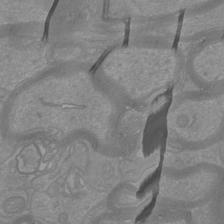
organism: Mouse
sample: Cortical neurons